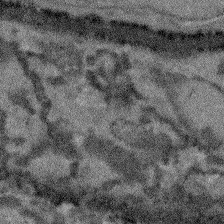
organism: Arabidopsis thaliana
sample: Root tip